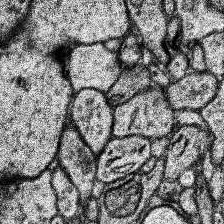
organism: Human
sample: Temporal Lobe